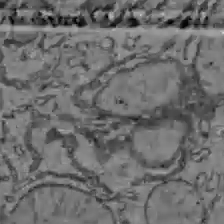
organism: C57BL Mouse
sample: Liver